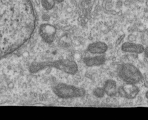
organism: Human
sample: Centriole in RPE cells